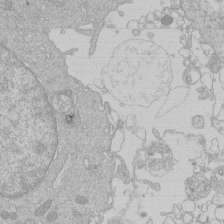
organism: Human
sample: Macrophage cells